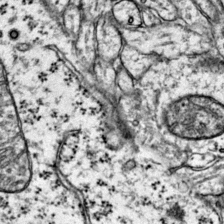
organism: Mouse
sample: Primary visual cortex